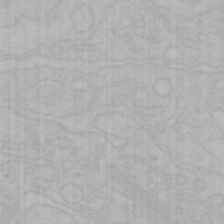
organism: Mouse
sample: Choroid plexus